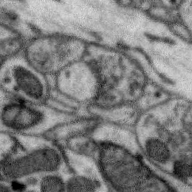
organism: Zebra finch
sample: Brain